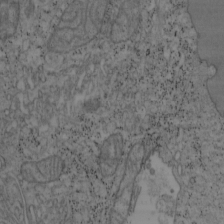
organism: Mouse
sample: OT-I killer T cells with ID8 ovarian cancer cells